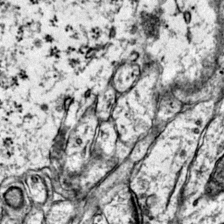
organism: Mouse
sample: Primary visual cortex